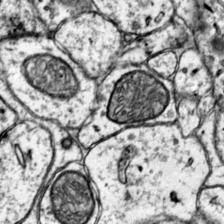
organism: Mouse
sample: Primary visual cortex